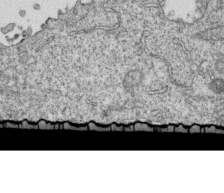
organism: Human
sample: HeLa cell HIV synapse